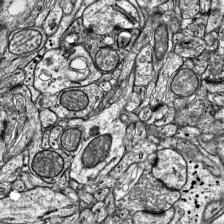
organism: Mouse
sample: Visual Cortex